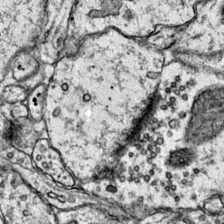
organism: Mouse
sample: Primary visual cortex